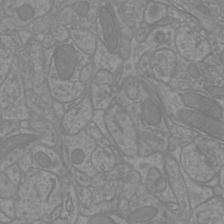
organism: Mouse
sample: Cortical neurons